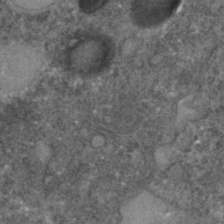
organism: C. elegans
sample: C. elegans embryo